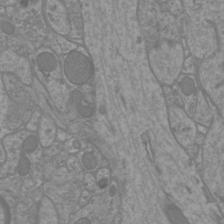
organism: Mouse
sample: Cortical neurons